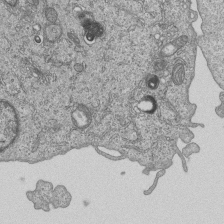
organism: Human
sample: MDA-MB-231 cells